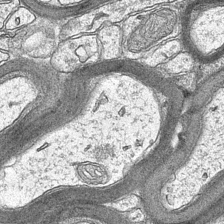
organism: Mouse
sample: CA1 Hippocampus